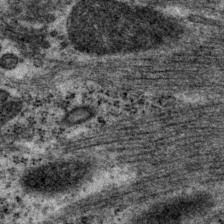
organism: P. pacificus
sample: Pharynx